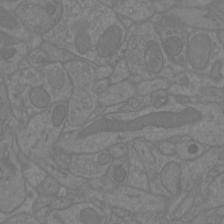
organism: Mouse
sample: Cortical neurons